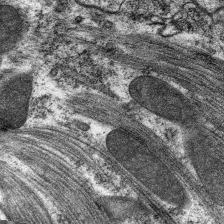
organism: C. elegans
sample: Pharynx